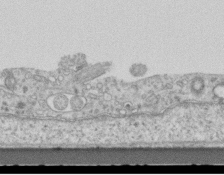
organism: Mouse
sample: Centriole in ependymal cells